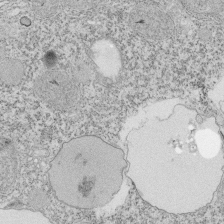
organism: Tetrahymena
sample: Cilia in tetrahymena